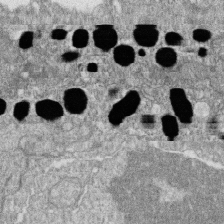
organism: Zebrafish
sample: Cilia; retinal pigment epithelium